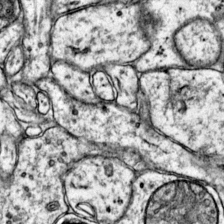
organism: Mouse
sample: Primary visual cortex